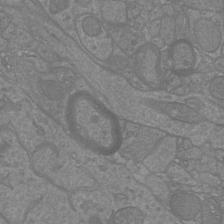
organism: Mouse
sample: Cortical neurons